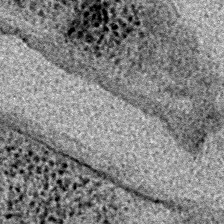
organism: E. coli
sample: E. Coli Bacteria